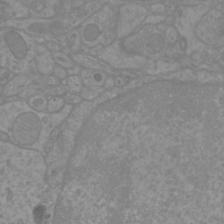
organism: Mouse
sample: Cortical neurons